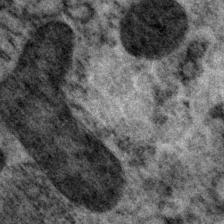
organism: P. pacificus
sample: Pharynx